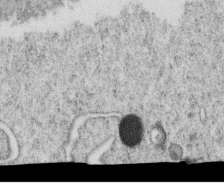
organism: C. elegans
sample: C. elegans oocyte; sperm cells